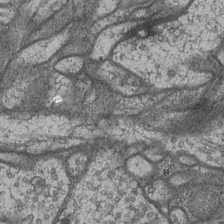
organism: Drosophila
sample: Optic medulla